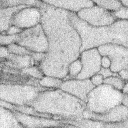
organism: Rabbit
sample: Retina